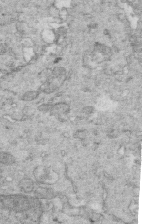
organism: Mouse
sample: Multiciliated cells